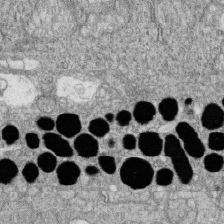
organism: Zebrafish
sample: Cilia; retinal pigment epithelium